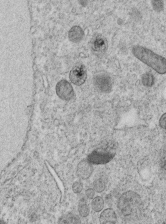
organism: C. elegans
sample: C. elegans embryo early stage